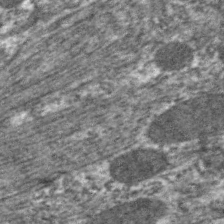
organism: C. elegans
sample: Pharynx